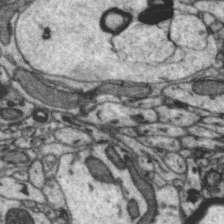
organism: Zebra finch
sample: Brain